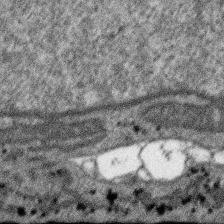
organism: Human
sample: Lung epithelial cells infected with SARS-CoV-2